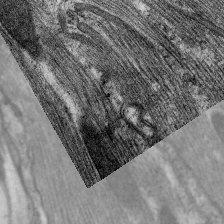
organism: C. elegans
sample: Pharynx